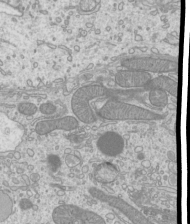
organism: Mouse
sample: Cilia; mouse epididymis